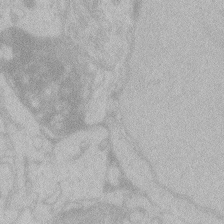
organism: Zebrafish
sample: Macrophage infected with Toxoplasma gondii